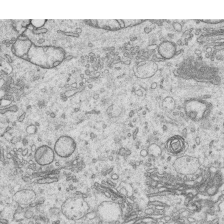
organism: Human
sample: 1205lu cells